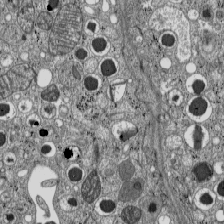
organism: C57BL Mouse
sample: Pancreatic islet